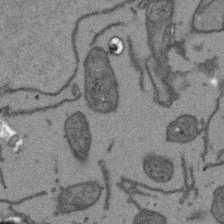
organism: Arabidopsis thaliana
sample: Root tip